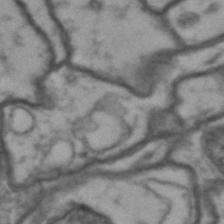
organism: Drosophila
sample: Brain